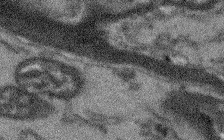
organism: Arabidopsis thaliana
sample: Root tip